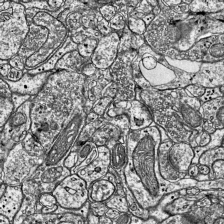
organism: Mouse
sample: Visual Cortex